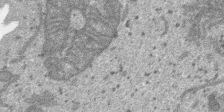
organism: Human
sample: Lung epithelial cells infected with SARS-CoV-2